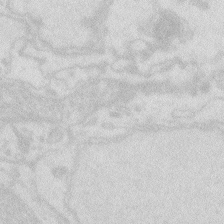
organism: Zebrafish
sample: Macrophage